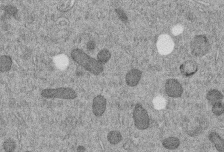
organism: C. elegans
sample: C. elegans embryo early stage